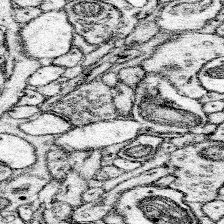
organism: Mouse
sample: Somatosensory cortex neuropil